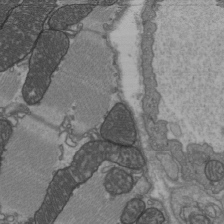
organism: C57BL Mouse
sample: Heart